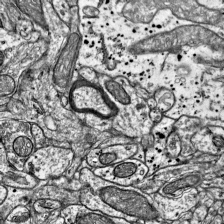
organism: Mouse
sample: Visual Cortex